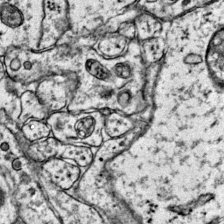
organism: Mouse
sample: Primary visual cortex